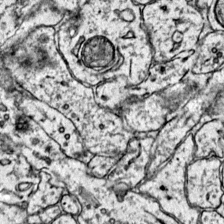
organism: Mouse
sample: Primary visual cortex